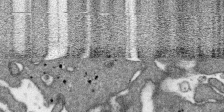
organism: Human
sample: Lung epithelial cells, uninfected (mock) control